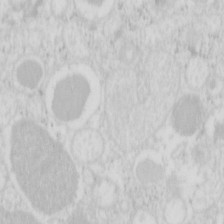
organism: Mouse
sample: Pancreas